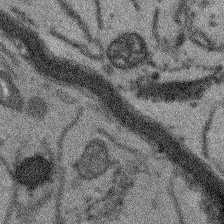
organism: Arabidopsis thaliana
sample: Root tip